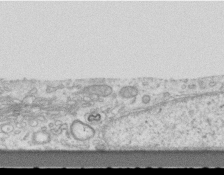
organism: Mouse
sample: Centriole in ependymal cells